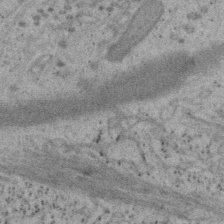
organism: Human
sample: HeLa cells